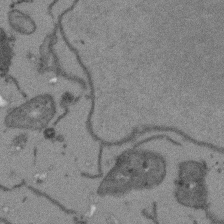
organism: Arabidopsis thaliana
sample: Root tip